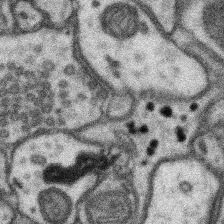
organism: Mouse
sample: Somatosensory cortex neuropil